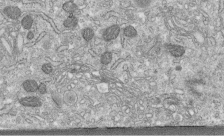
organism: Human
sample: Centriole in fibroblast cells